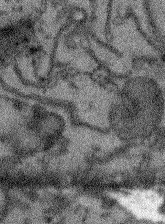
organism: Arabidopsis thaliana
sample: Root tip